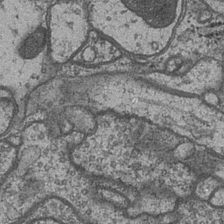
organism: Drosophila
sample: Optic medulla